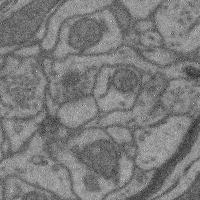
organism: Mouse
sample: Cerebral cortex